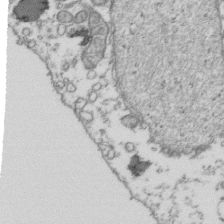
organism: Human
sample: Activated Jurkat CD4+ T cells